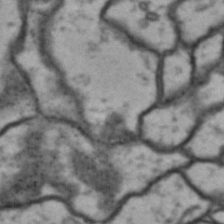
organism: Drosophila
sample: Brain